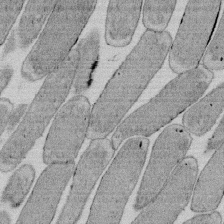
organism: E. coli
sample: Bacterial nucleoid